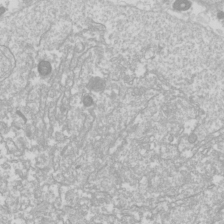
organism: Drosophila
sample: Cell division; meiosis; drosophila spermatocytes